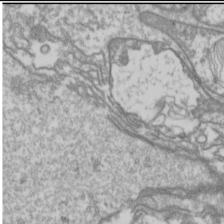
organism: Drosophila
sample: Cell division; meiosis; drosophila spermatocytes